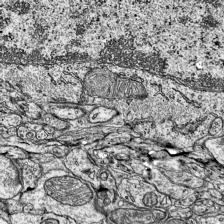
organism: Mouse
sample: Visual Cortex